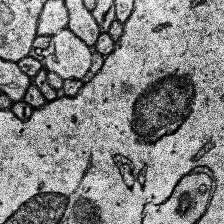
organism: Human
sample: Temporal Lobe